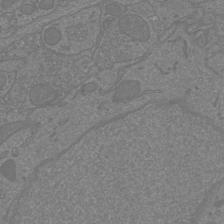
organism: Mouse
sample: Cortical neurons